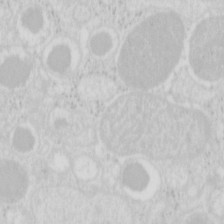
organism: Mouse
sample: Pancreas